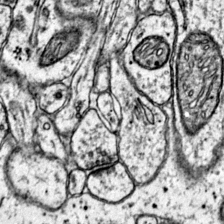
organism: Mouse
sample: Primary visual cortex